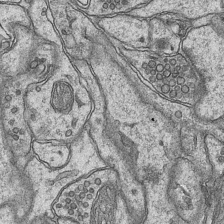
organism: Mouse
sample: CA1 Hippocampus